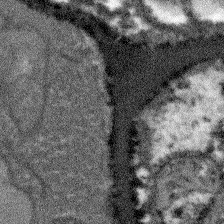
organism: Arabidopsis thaliana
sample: Root tip